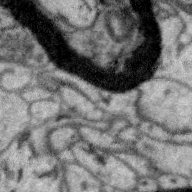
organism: Zebra finch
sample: Brain